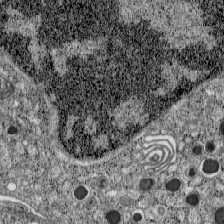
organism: C57BL Mouse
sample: Pancreatic islet